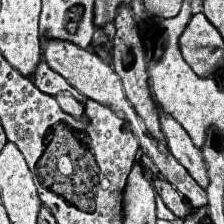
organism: Human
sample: Temporal Lobe